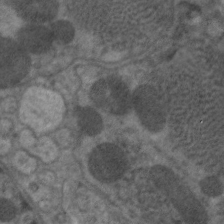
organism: C. elegans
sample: Pharynx